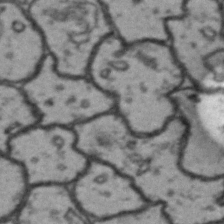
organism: Drosophila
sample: Brain